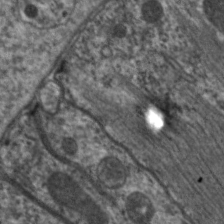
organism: C. elegans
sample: Pharynx